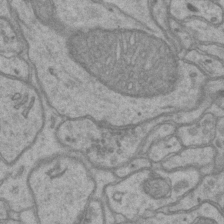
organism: Mouse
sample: CA1 Hippocampus